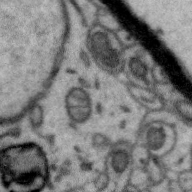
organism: Zebra finch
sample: Brain